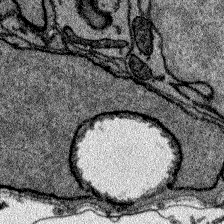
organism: Zebrafish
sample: Larval olfactory bulb